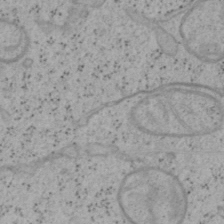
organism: Human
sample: HeLa cells